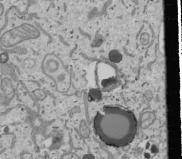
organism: Human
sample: Mitochondria in U2OS cells